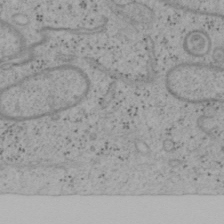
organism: Human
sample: HeLa cells